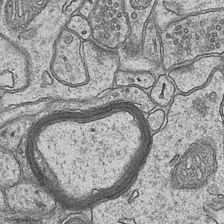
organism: Mouse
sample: CA1 Hippocampus